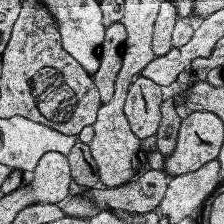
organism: Human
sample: Temporal Lobe